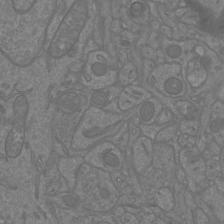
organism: Mouse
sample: Cortical neurons